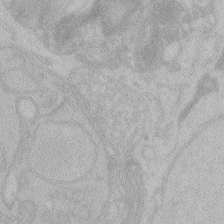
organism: Zebrafish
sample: Macrophage infected with Toxoplasma gondii